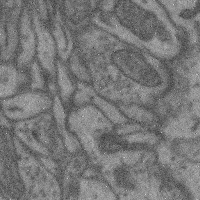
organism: Mouse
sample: Cerebral cortex